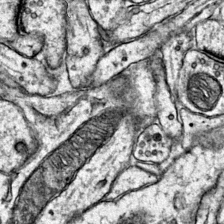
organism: Mouse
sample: Primary visual cortex